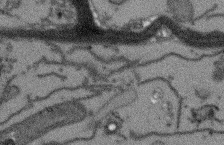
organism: Arabidopsis thaliana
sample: Root tip